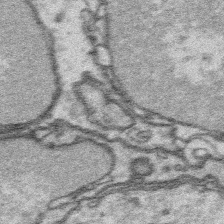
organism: Platynereis dumerilii